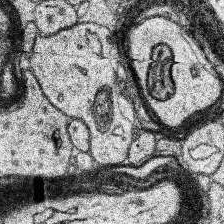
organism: Human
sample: Temporal Lobe